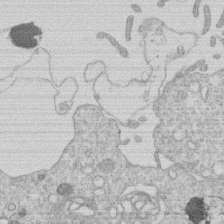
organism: Human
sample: Macrophage cells